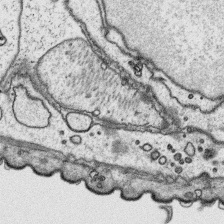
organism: Platynereis dumerilii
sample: Parapodia